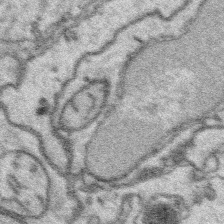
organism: Platynereis dumerilii